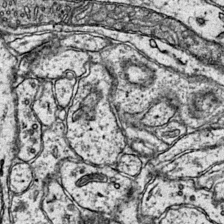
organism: Mouse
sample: Primary visual cortex